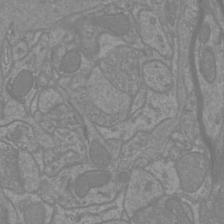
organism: Mouse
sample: Cortical neurons